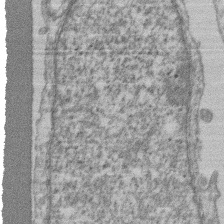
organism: Mouse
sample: T cell stromal cell synapse